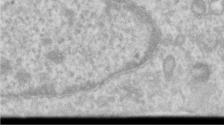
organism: Human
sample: Centriole in RPE cells